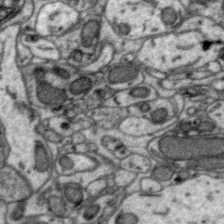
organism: Zebra finch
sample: Brain